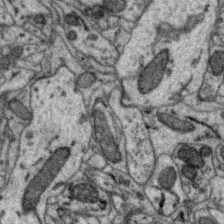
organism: Zebra finch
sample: Brain